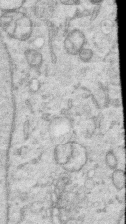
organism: Human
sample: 1205lu cells